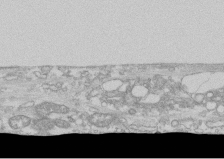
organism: Human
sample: CRL-1474